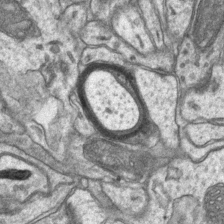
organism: Mouse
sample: CA1 Hippocampus